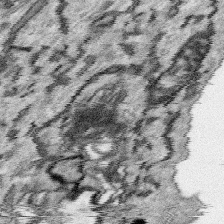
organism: Human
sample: HeLa cells